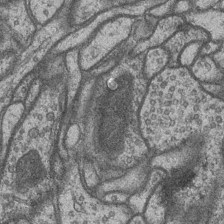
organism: Drosophila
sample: Optic medulla